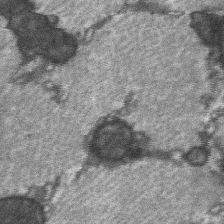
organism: C57BL Mouse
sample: Soleus